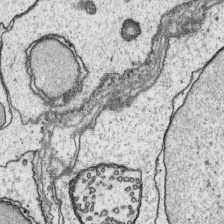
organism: Platynereis dumerilii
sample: Parapodia